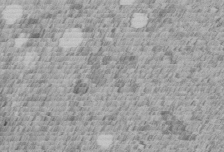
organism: C. elegans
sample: C. elegans embryo early stage